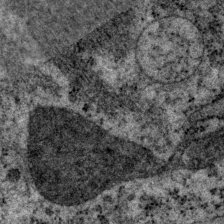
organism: P. pacificus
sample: Pharynx